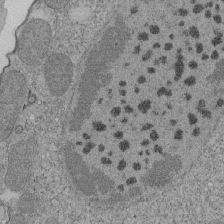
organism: Tetrahymena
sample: Cilia in tetrahymena